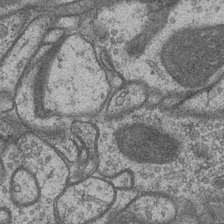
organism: Drosophila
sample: Optic medulla